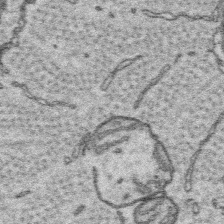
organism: Platynereis dumerilii